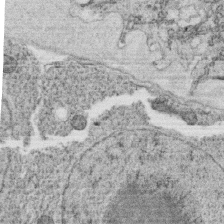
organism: C. elegans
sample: C. elegans oocyte; sperm cells